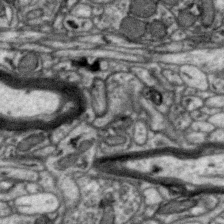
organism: Zebra finch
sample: Brain